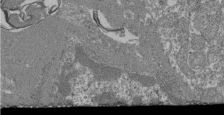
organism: Mouse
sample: Glomerulus